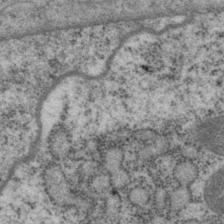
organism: P. pacificus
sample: Pharynx